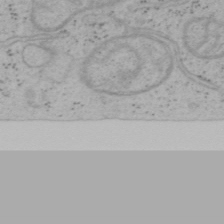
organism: Human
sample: HeLa cells